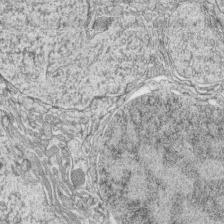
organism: Zebrafish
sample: synaptic ribbons in rod cells and cone cells